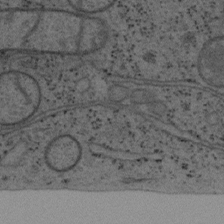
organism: Human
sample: HeLa cells